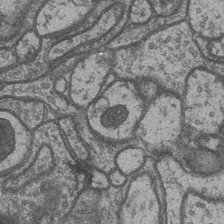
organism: Drosophila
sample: Optic medulla